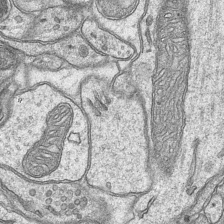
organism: Mouse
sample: CA1 Hippocampus